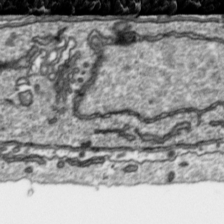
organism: Toxoplasma gondii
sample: Parasites in a vacuole inside a host cell